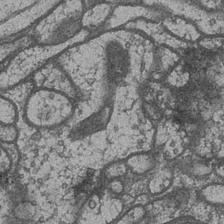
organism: Drosophila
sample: Optic medulla